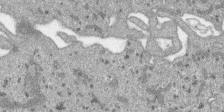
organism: Human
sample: Lung epithelial cells infected with SARS-CoV-2